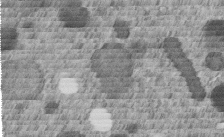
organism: C. elegans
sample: C. elegans embryo early stage